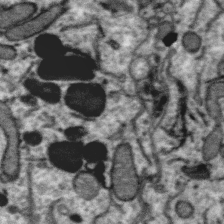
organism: Zebra finch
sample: Brain